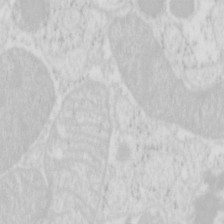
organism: Mouse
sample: Pancreas